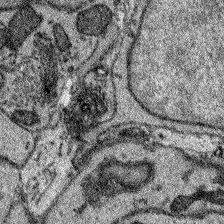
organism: Zebrafish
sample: Larval olfactory bulb